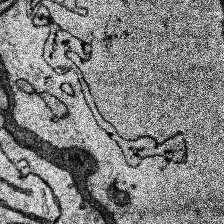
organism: Human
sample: Temporal Lobe